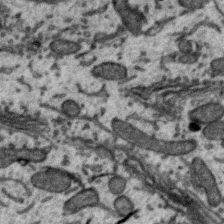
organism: Zebra finch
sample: Brain